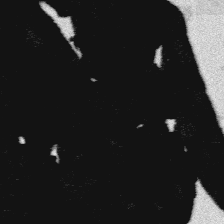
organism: Platynereis dumerilii